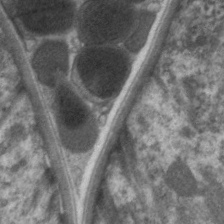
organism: C. elegans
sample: Pharynx